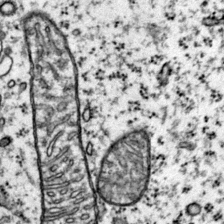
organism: Mouse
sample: Primary visual cortex